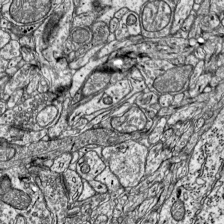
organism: Mouse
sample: Visual Cortex